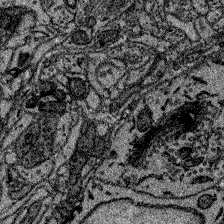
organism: Zebrafish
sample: Larval olfactory bulb